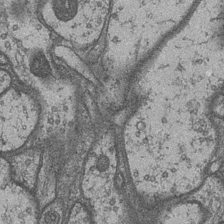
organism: Drosophila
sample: Optic medulla